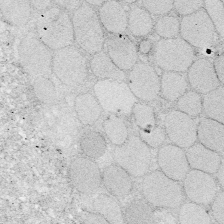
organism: Zebrafish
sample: Whole-Brain